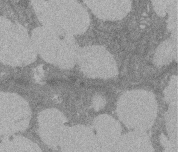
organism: Rat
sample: Salivary granule